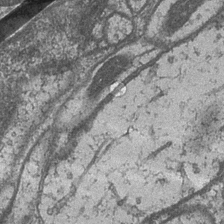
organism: Drosophila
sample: Optic medulla